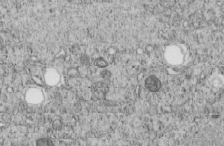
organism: C. elegans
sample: C. elegans embryo early stage